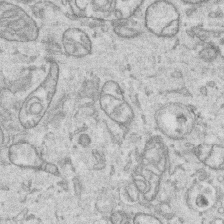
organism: Human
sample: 1205lu cells